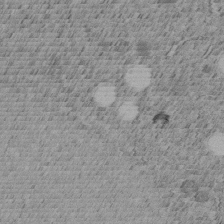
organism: C. elegans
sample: C. elegans embryo early stage